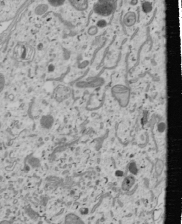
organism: Human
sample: Mitochondria in U2OS cells